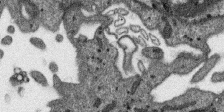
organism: Human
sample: Lung epithelial cells infected with SARS-CoV-2